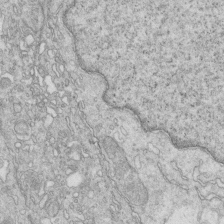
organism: Mouse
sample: Multiciliated cells